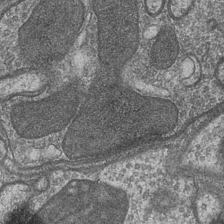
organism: Drosophila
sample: Optic medulla